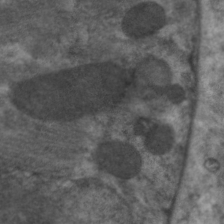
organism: C. elegans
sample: Pharynx